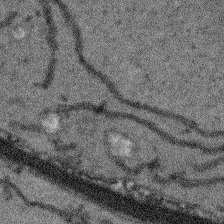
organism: Arabidopsis thaliana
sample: Root tip